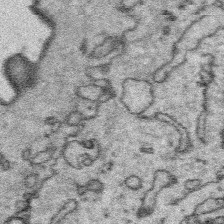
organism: Platynereis dumerilii